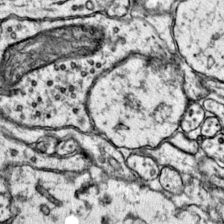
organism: Mouse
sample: Primary visual cortex